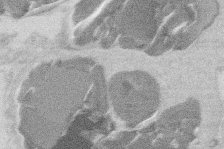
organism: Mouse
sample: T cell stromal cell synapse